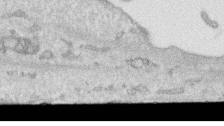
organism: Human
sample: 1205lu cells